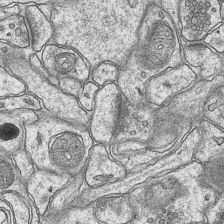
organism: Mouse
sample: CA1 Hippocampus